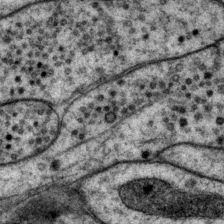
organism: P. pacificus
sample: Pharynx